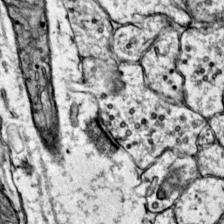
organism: Mouse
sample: Primary visual cortex